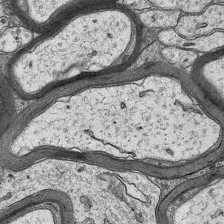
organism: Mouse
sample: CA1 Hippocampus